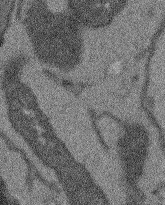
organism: Arabidopsis thaliana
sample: Root tip